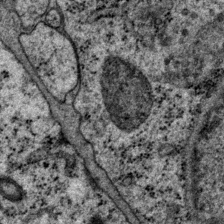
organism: P. pacificus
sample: Pharynx